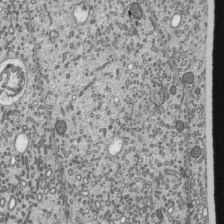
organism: Mouse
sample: Mouse epididymis efferent ductule cilia